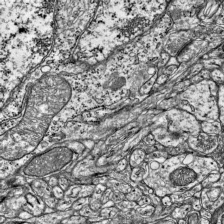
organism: Mouse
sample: Visual Cortex